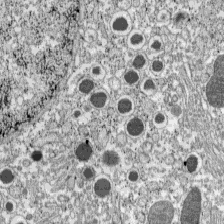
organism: C57BL Mouse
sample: Pancreatic islet